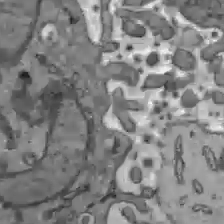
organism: C57BL Mouse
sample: Liver